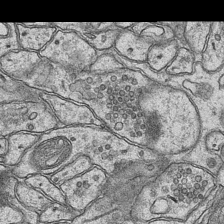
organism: Mouse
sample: CA1 Hippocampus